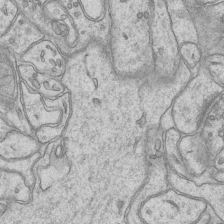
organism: Mouse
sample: CA1 Hippocampus